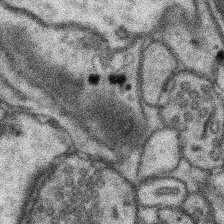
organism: Mouse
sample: Somatosensory cortex neuropil